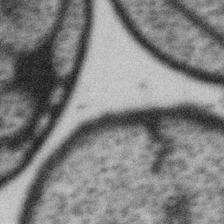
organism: Gemmata obscuriglobus